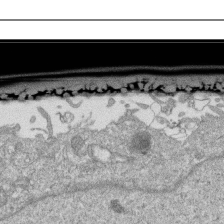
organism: Human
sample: HeLa cell HIV synapse